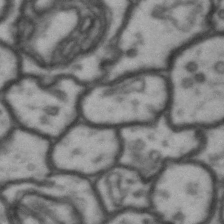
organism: Drosophila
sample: Brain